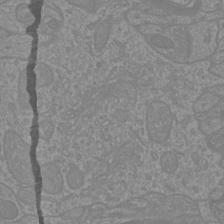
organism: Mouse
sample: Cortical neurons